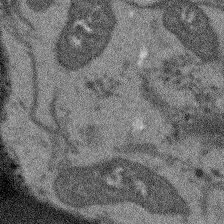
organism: Arabidopsis thaliana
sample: Root tip